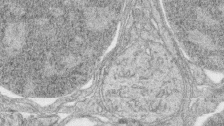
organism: Zebrafish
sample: synaptic ribbons in rod cells and cone cells